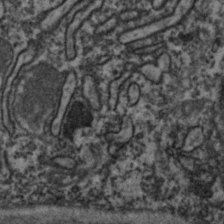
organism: Zebrafish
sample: Zebrafish embryo